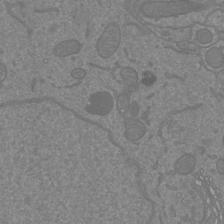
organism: Mouse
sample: Cortical neurons